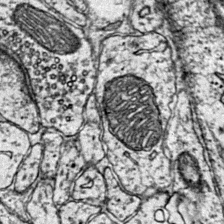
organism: Mouse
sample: Primary visual cortex